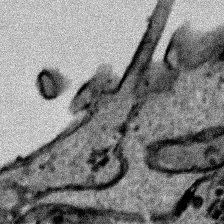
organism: Human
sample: Mitochondria in HCT116 cells